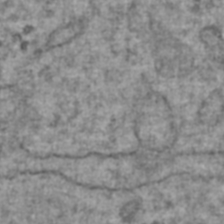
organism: Human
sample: Blood